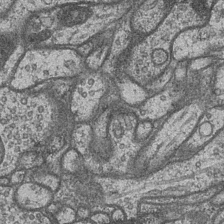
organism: Drosophila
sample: Optic medulla